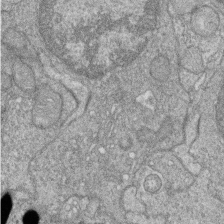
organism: Zebrafish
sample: Cilia; retinal pigment epithelium